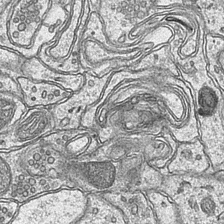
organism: Mouse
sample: CA1 Hippocampus